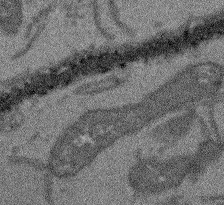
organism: Arabidopsis thaliana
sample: Root tip